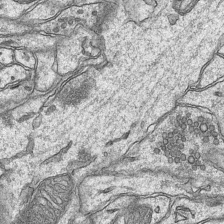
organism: Mouse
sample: CA1 Hippocampus